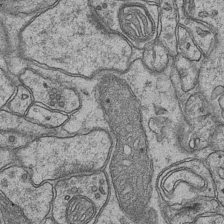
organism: Mouse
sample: CA1 Hippocampus